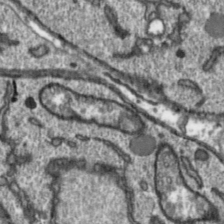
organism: Toxoplasma gondii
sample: Parasites in a vacuole inside a host cell